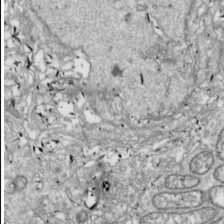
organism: Drosophila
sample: Cell division; meiosis; drosophila spermatocytes